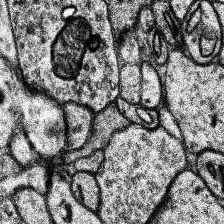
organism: Human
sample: Temporal Lobe